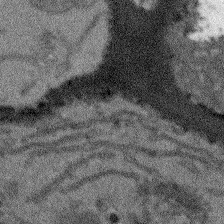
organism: Arabidopsis thaliana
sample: Root tip